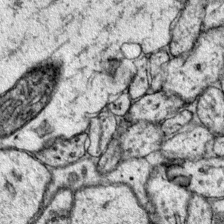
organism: Mouse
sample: Primary visual cortex